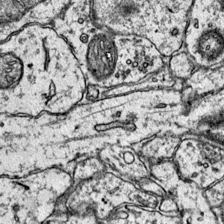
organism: Mouse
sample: Primary visual cortex